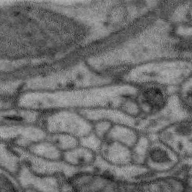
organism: Zebra finch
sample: Brain